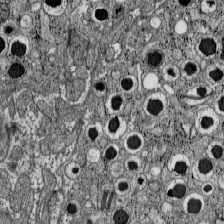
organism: C57BL Mouse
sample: Pancreatic islet